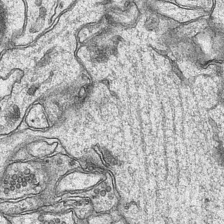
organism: Mouse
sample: CA1 Hippocampus